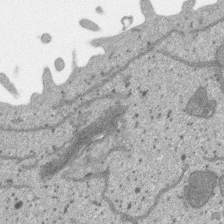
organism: Human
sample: Lung epithelial cells infected with SARS-CoV-2